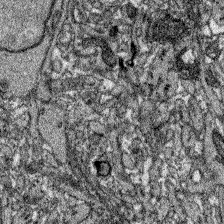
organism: Zebrafish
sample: Larval olfactory bulb